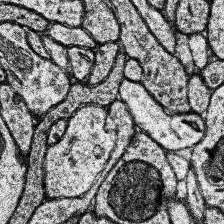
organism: Human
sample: Temporal Lobe